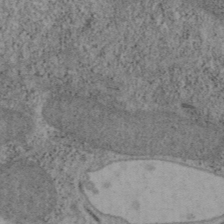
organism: Mouse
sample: OT-I killer T cells with ID8 ovarian cancer cells